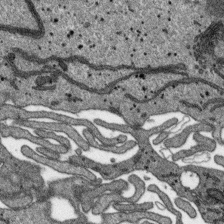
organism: Human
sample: Lung epithelial cells, uninfected (mock) control